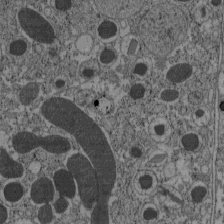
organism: C57BL Mouse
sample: Pancreatic islet